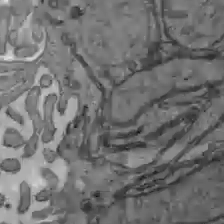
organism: C57BL Mouse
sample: Liver